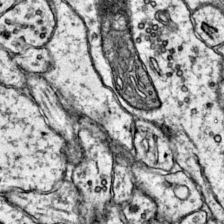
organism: Mouse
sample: Primary visual cortex